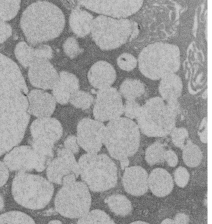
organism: Rat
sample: Salivary granule